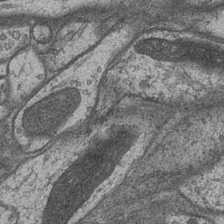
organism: Drosophila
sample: Optic medulla